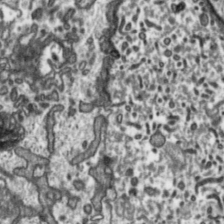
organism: Toxoplasma gondii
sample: Parasites in a vacuole inside a host cell